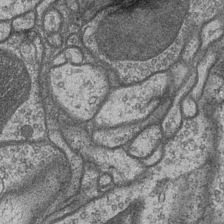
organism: Drosophila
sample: Optic medulla